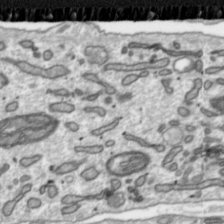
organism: Toxoplasma gondii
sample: Parasites in a vacuole inside a host cell